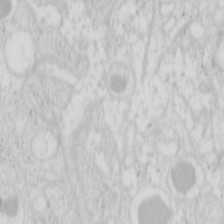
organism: Mouse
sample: Pancreas